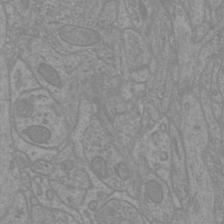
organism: Mouse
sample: Cortical neurons